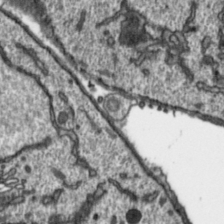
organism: Toxoplasma gondii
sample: Parasites in a vacuole inside a host cell